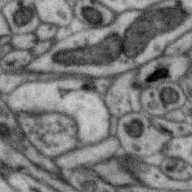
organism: Zebra finch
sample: Brain